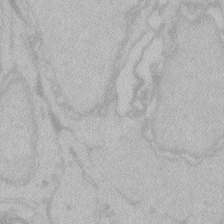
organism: Zebrafish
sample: Macrophage infected with Toxoplasma gondii